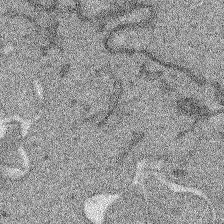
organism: Human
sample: HeLa cells